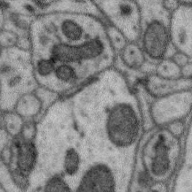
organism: Zebra finch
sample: Brain